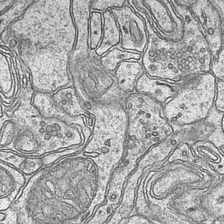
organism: Mouse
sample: CA1 Hippocampus